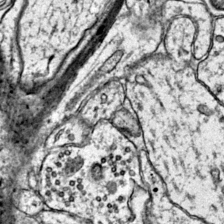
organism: Mouse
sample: Primary visual cortex